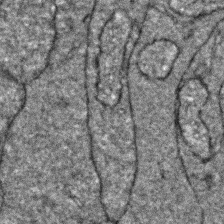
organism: Zebrafish